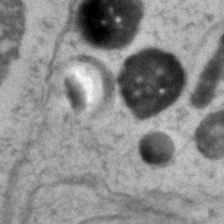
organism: Zebrafish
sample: Zebrafish embryo